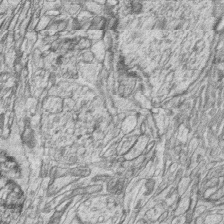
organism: Zebrafish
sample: synaptic ribbons in rod cells and cone cells